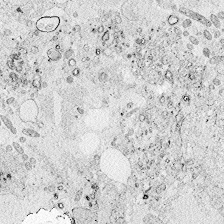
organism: Zebrafish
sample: Whole-Brain